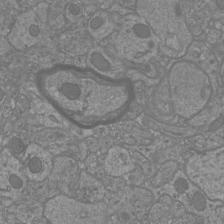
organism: Mouse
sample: Cortical neurons